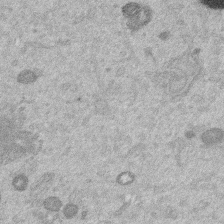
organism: Mouse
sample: Dividing mouse embryo 1 cell stage